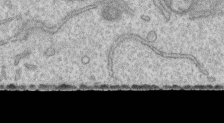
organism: Human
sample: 1205lu cells